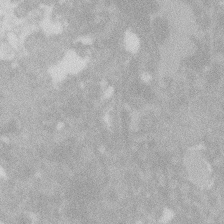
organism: Zebrafish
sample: Macrophage